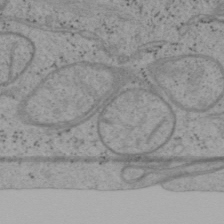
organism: Human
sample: HeLa cells